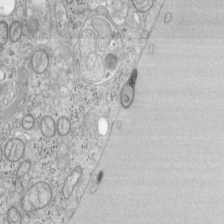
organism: Mouse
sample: OT-I killer T cells with ID8 ovarian cancer cells